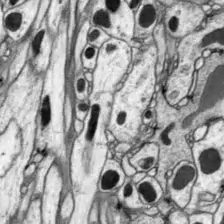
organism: Drosophila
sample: Optic lobe